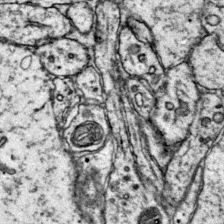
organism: Mouse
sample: Primary visual cortex